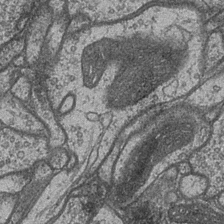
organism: Drosophila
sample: Optic medulla